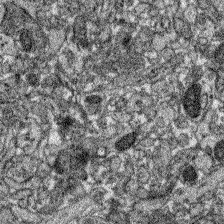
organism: Zebrafish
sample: Larval olfactory bulb